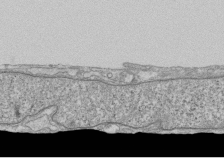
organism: Human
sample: Fibroblast cells